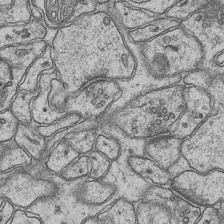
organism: Mouse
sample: CA1 Hippocampus